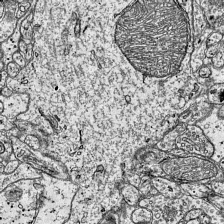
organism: Mouse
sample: Visual Cortex